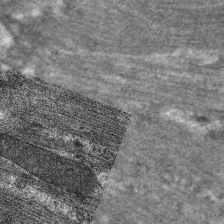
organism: C. elegans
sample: Pharynx